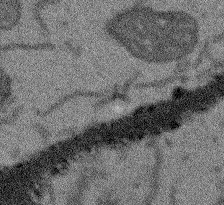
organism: Arabidopsis thaliana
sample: Root tip